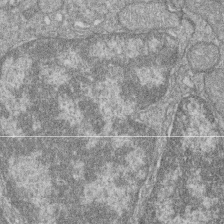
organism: Zebrafish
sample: Cilia; retinal pigment epithelium